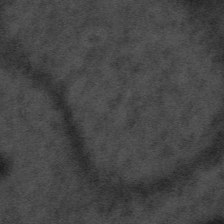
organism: Tuwongella immobilis